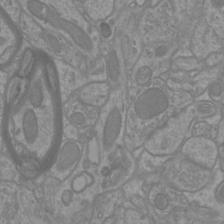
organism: Mouse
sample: Cortical neurons